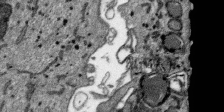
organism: Human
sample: Lung epithelial cells, uninfected (mock) control